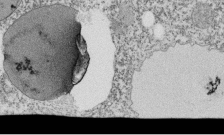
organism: Tetrahymena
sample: Cilia in tetrahymena